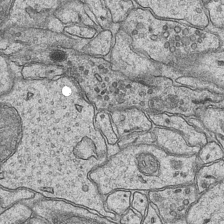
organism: Mouse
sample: CA1 Hippocampus